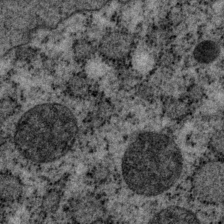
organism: P. pacificus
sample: Pharynx